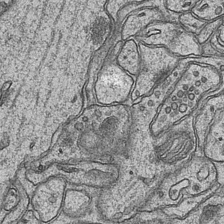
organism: Mouse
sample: CA1 Hippocampus